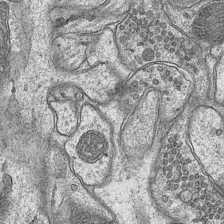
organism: Mouse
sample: CA1 Hippocampus